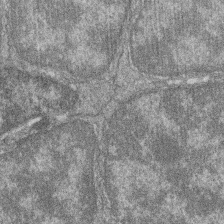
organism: Zebrafish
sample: Cilia; retinal pigment epithelium